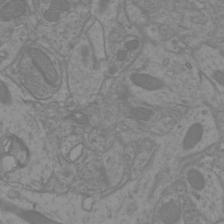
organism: Mouse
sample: Cortical neurons